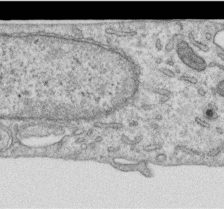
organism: Human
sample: Centriole in RPE cells